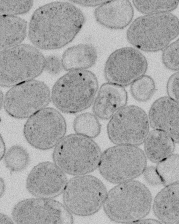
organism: E. coli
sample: Bacterial nucleoid